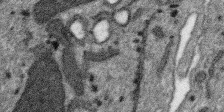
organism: Human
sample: Lung epithelial cells infected with SARS-CoV-2